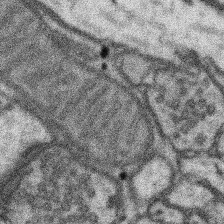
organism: Mouse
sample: Somatosensory cortex neuropil